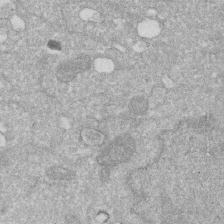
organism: Human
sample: HIV infected U937 cells